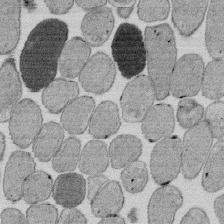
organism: E. coli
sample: Bacterial nucleoid